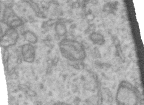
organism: Human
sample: Centriole in RPE cells